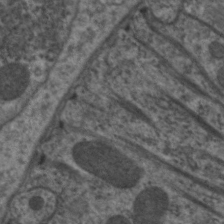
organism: C. elegans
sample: Pharynx